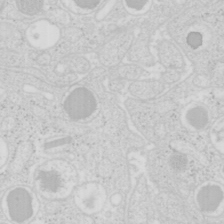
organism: Mouse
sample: Pancreas